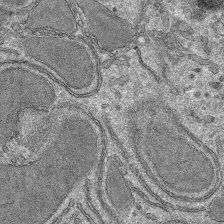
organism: Mouse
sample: Mouse hepatocytes